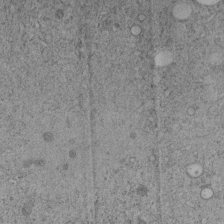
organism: C. elegans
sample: C. elegans embryo early stage